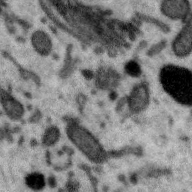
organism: Zebra finch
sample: Brain